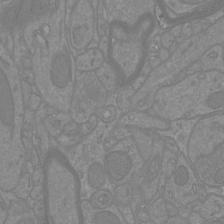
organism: Mouse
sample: Cortical neurons